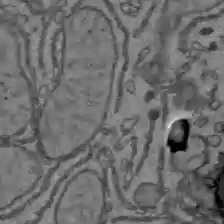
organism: C57BL Mouse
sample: Liver